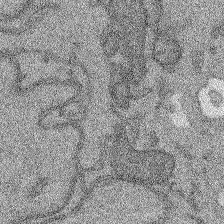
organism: Human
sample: HeLa cells